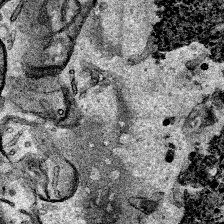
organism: Human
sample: Mitochondria in HCT116 cells